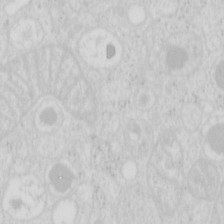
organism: Mouse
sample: Pancreas